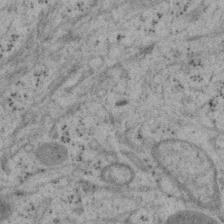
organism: Human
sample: HeLa cells